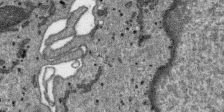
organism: Human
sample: Lung epithelial cells, uninfected (mock) control